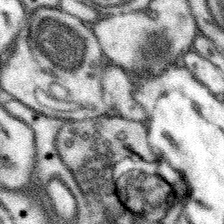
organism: Mouse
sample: Somatosensory cortex neuropil